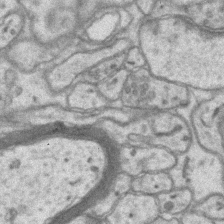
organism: Mouse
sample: CA1 Hippocampus